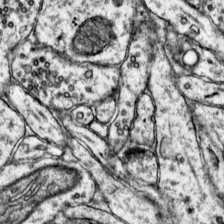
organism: Mouse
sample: Primary visual cortex